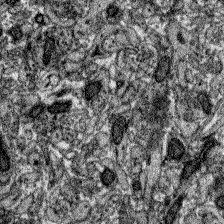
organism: Zebrafish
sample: Larval olfactory bulb